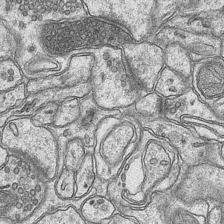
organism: Mouse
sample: CA1 Hippocampus